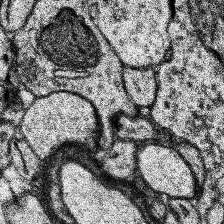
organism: Human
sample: Temporal Lobe